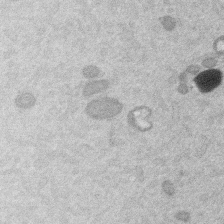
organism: Mouse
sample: Dividing mouse embryo 1 cell stage